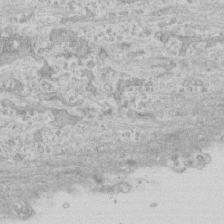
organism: Human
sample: CRL-1474